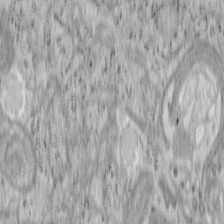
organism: Human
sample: HeLa cells